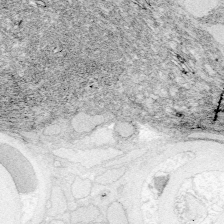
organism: Zebrafish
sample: Whole-Brain